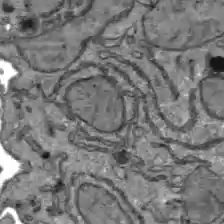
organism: C57BL Mouse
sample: Liver